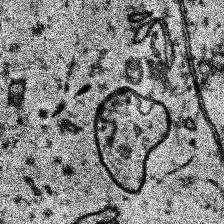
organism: Human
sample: Temporal Lobe